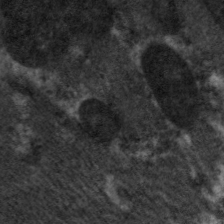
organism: C. elegans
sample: Pharynx